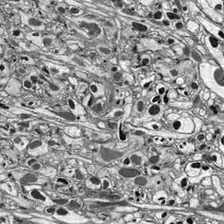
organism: Drosophila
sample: Optic lobe